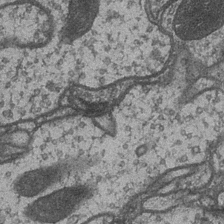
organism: Drosophila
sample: Optic medulla